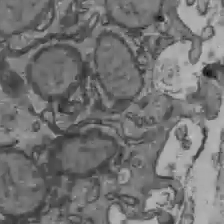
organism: C57BL Mouse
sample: Liver